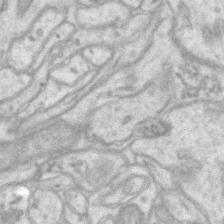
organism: Mouse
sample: CA1 Hippocampus